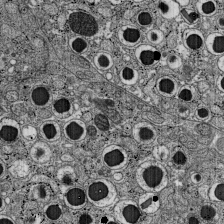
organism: C57BL Mouse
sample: Pancreatic islet